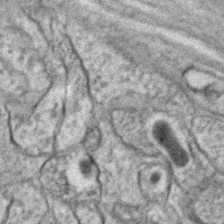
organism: C. elegans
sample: C. elegans embryo